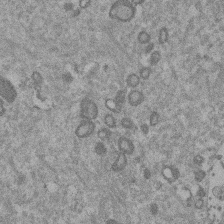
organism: Mouse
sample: Dividing mouse embryo 1 cell stage